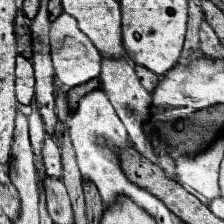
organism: Human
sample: Temporal Lobe